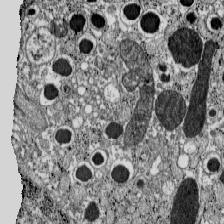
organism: C57BL Mouse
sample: Pancreatic islet